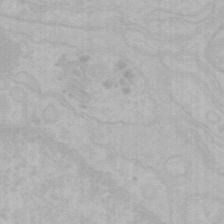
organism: Mouse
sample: Choroid plexus